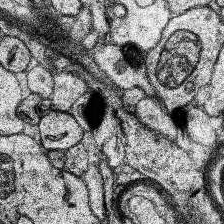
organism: Human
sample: Temporal Lobe